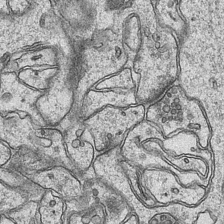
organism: Mouse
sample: CA1 Hippocampus